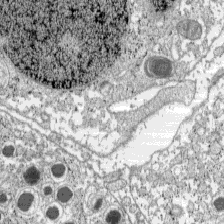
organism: C57BL Mouse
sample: Pancreatic islet